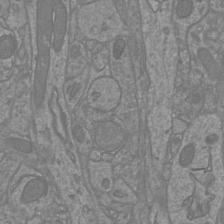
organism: Mouse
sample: Cortical neurons